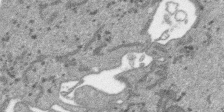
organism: Human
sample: Lung epithelial cells infected with SARS-CoV-2